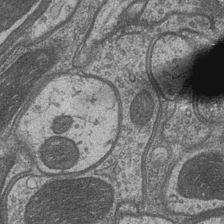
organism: Drosophila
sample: Optic medulla